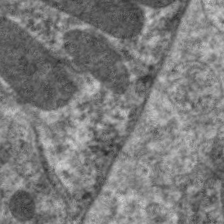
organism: C. elegans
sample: Pharynx